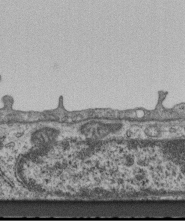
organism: Mouse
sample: Centriole in ependymal cells